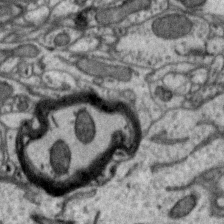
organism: Zebra finch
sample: Brain